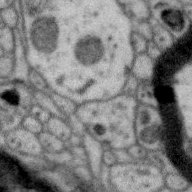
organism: Zebra finch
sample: Brain